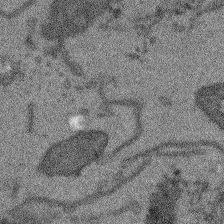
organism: Arabidopsis thaliana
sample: Root tip